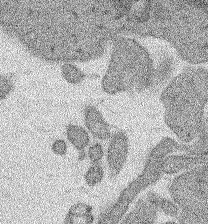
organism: Human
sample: HeLa cells